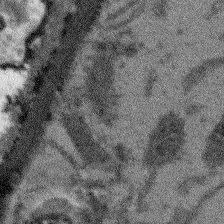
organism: Arabidopsis thaliana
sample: Root tip